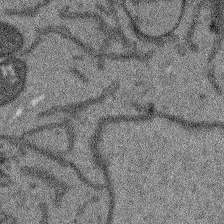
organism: Arabidopsis thaliana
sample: Root tip